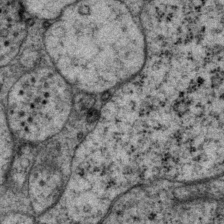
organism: P. pacificus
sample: Pharynx